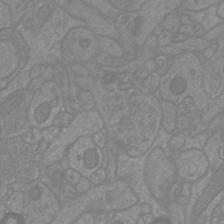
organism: Mouse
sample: Cortical neurons